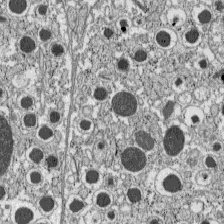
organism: C57BL Mouse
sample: Pancreatic islet